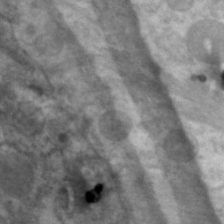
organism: C. elegans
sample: Pharynx